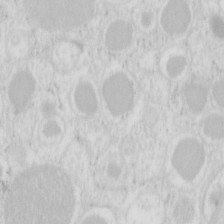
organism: Mouse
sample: Pancreas